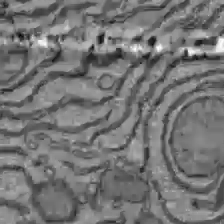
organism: C57BL Mouse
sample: Liver